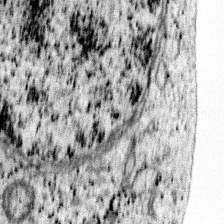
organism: Human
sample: HeLa cells